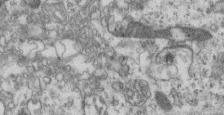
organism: Mouse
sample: Centriole in ependymal cells